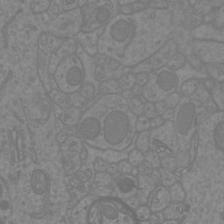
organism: Mouse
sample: Cortical neurons